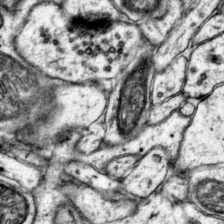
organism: Mouse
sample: Primary visual cortex